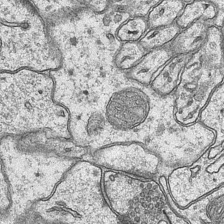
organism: Mouse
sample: CA1 Hippocampus